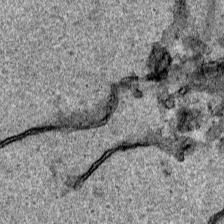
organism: Human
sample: Mitochondria in HCT116 cells